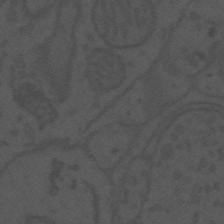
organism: Mouse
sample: Suprachiasmatic nucleus